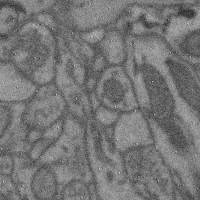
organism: Mouse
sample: Cerebral cortex